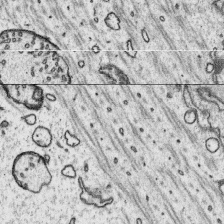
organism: Platynereis dumerilii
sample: Parapodia